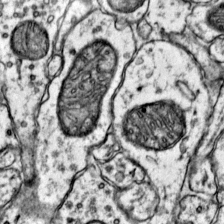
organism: Mouse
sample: Primary visual cortex